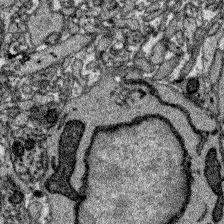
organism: Zebrafish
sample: Larval olfactory bulb